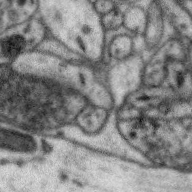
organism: Zebra finch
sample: Brain